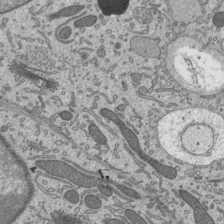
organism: Mouse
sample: Mouse epididymis efferent ductule cilia